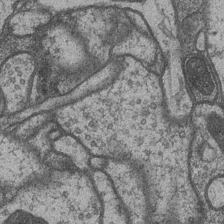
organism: Drosophila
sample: Optic medulla